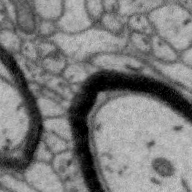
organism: Zebra finch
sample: Brain